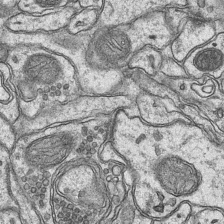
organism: Mouse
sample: CA1 Hippocampus